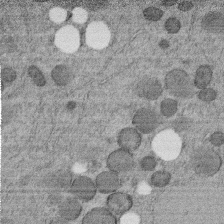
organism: C. elegans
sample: C. elegans embryo early stage